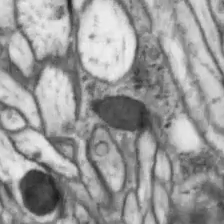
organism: Drosophila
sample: Optic lobe